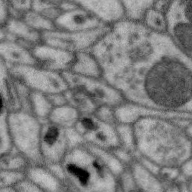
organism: Zebra finch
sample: Brain